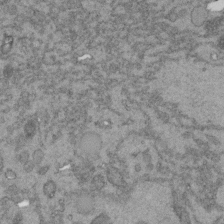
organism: C. elegans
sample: C. elegans embryo early stage